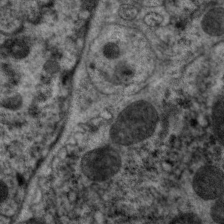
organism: C. elegans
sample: Pharynx